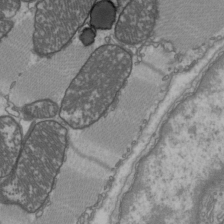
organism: C57BL Mouse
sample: Heart